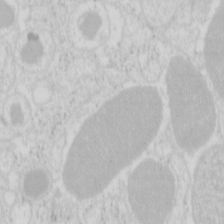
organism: Mouse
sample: Pancreas